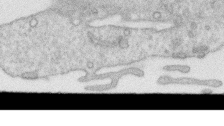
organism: Human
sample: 1205lu cells